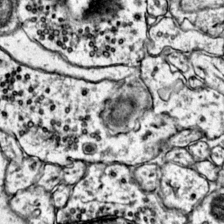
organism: Mouse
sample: Primary visual cortex